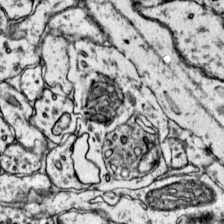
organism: Mouse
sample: Primary visual cortex